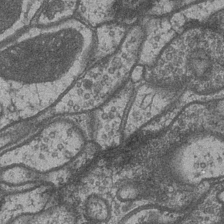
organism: Drosophila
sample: Optic medulla